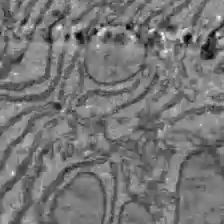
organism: C57BL Mouse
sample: Liver